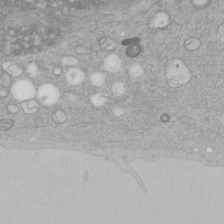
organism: Human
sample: Mitochondria in HCT116 cells